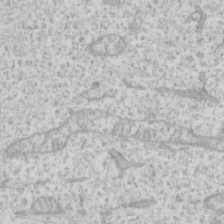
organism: Human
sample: Fibroblast cells